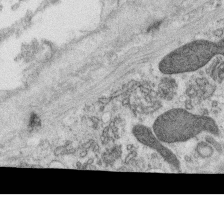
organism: C. elegans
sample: C. elegans oocyte; sperm cells